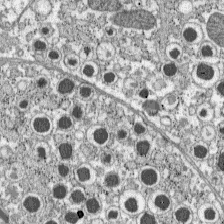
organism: C57BL Mouse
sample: Pancreatic islet